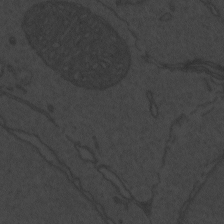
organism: Zebrafish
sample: Macrophage infected with Toxoplasma gondii